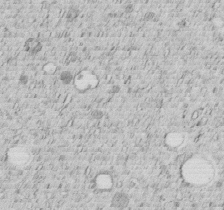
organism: C. elegans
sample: C. elegans embryo early stage